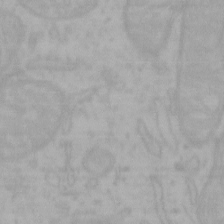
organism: Mouse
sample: Choroid plexus